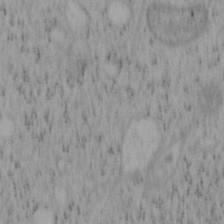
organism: Mouse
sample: OT-I killer T cells with ID8 ovarian cancer cells